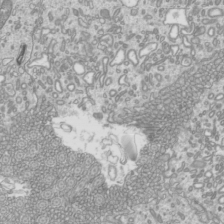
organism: Mouse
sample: Cilia; mouse epididymis